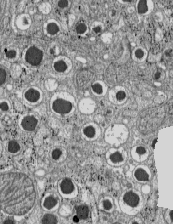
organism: C57BL Mouse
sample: Pancreatic islet